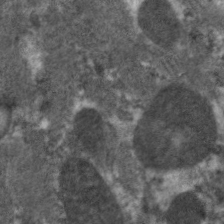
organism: C. elegans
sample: Pharynx